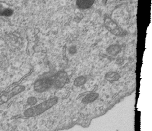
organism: Human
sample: MDA-MB-231 cells